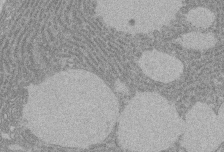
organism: Rat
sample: Salivary granule